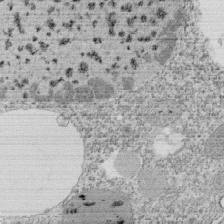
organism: Tetrahymena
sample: Cilia in tetrahymena